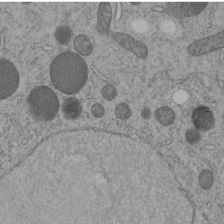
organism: C. elegans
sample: C. elegans embryo early stage